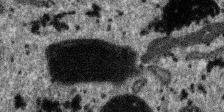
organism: Human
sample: Lung epithelial cells infected with SARS-CoV-2